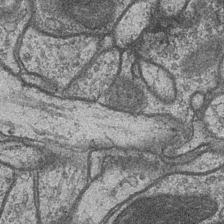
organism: Drosophila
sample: Optic medulla